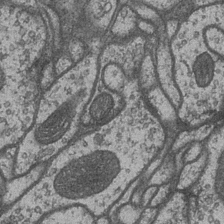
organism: Drosophila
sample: Optic medulla